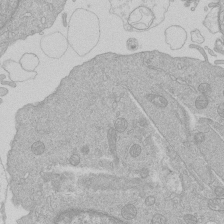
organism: Human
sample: Macrophage cells